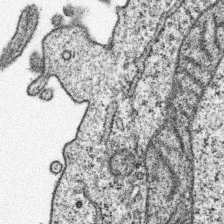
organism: Human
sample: HeLa cells